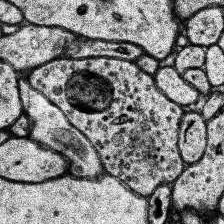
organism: Human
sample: Temporal Lobe